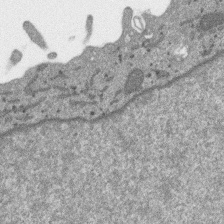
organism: Human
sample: Lung epithelial cells infected with SARS-CoV-2